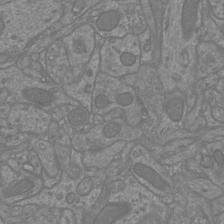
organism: Mouse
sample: Cortical neurons